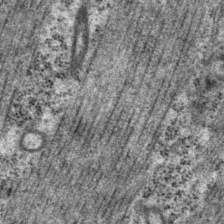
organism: P. pacificus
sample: Pharynx